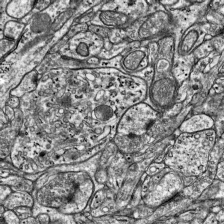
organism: Mouse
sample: Visual Cortex